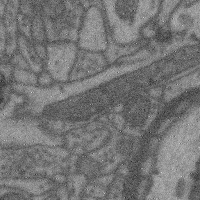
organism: Mouse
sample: Cerebral cortex